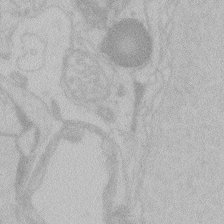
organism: Zebrafish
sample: Macrophage infected with Toxoplasma gondii